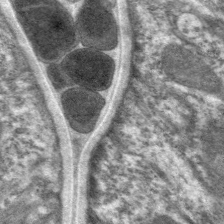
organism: C. elegans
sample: Pharynx